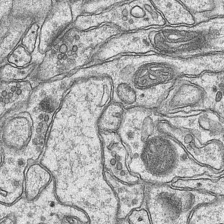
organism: Mouse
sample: CA1 Hippocampus